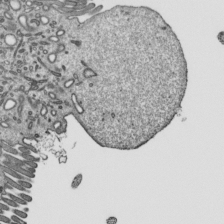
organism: Mouse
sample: Mouse epididymis efferent ductule cilia